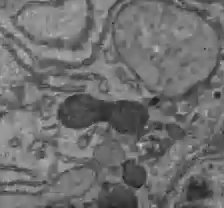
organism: C57BL Mouse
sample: Liver